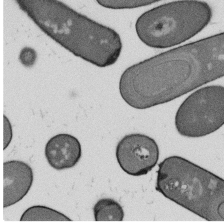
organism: B. subtilis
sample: Bacterial spore